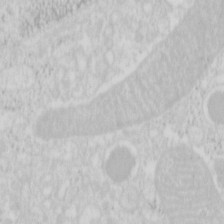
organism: Mouse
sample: Pancreas